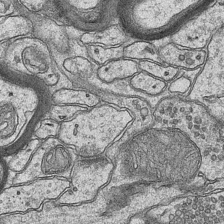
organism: Mouse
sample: CA1 Hippocampus